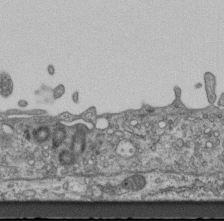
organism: Mouse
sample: Centriole in ependymal cells